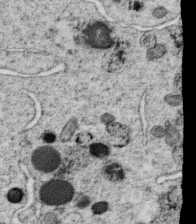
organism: C. elegans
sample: C. elegans oocyte; sperm cells